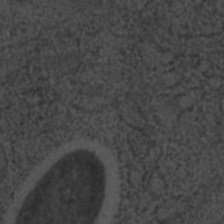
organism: C. elegans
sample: C. elegans embryo